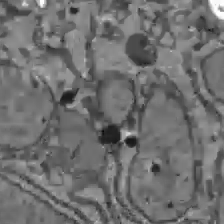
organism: C57BL Mouse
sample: Liver